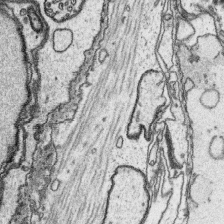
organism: Platynereis dumerilii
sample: Parapodia